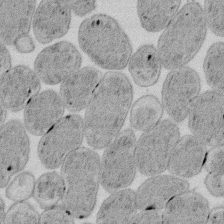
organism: E. coli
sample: Bacterial nucleoid